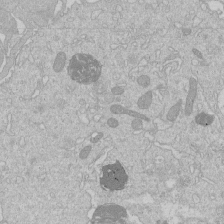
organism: Human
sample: Macrophage cells